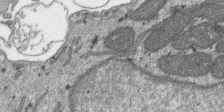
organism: Human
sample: Lung epithelial cells infected with SARS-CoV-2